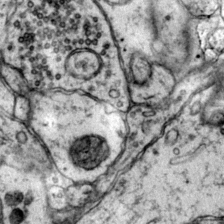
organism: Mouse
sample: Primary visual cortex